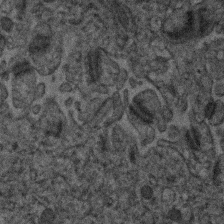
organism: Human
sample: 1205lu cells